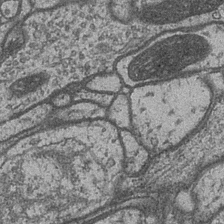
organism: Drosophila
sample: Optic medulla